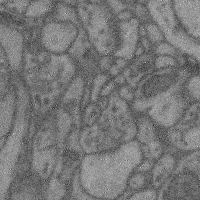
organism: Mouse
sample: Cerebral cortex